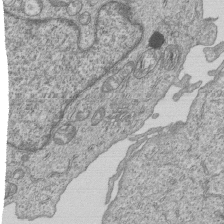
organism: Human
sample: MDA-MB-231 cells